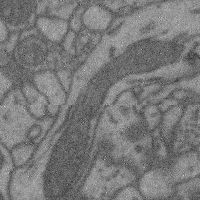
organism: Mouse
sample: Cerebral cortex